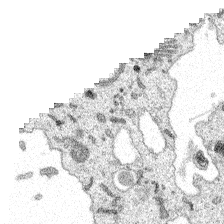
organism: Spongilla lacustris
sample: Multiple